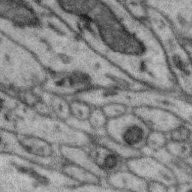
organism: Zebra finch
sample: Brain